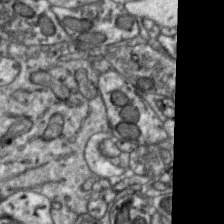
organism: Zebra finch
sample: Brain